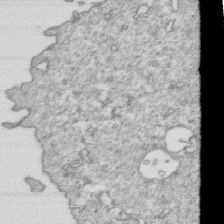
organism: Mouse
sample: Activated OT-1 CD8+ T cells